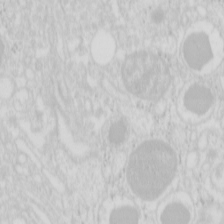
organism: Mouse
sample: Pancreas